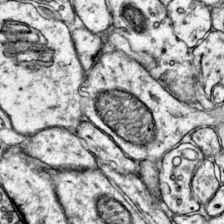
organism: Mouse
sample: Primary visual cortex